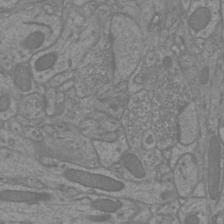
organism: Mouse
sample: Cortical neurons